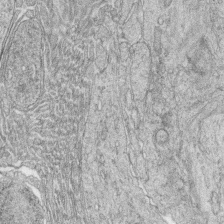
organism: Zebrafish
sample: synaptic ribbons in rod cells and cone cells